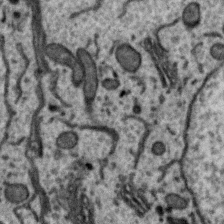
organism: Zebra finch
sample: Brain